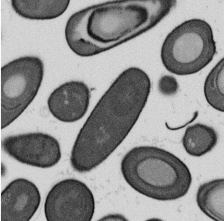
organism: B. subtilis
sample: Bacterial spore